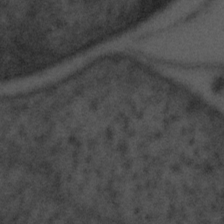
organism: Tuwongella immobilis